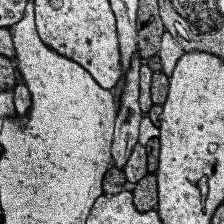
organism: Human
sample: Temporal Lobe